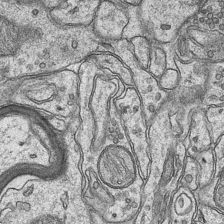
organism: Mouse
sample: CA1 Hippocampus